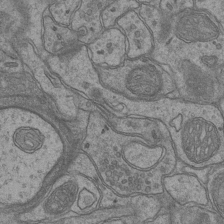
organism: Mouse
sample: CA1 Hippocampus